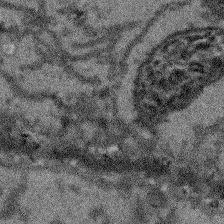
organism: Arabidopsis thaliana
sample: Root tip